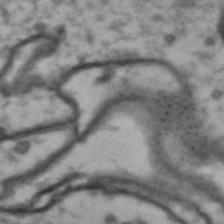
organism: Drosophila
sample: Brain